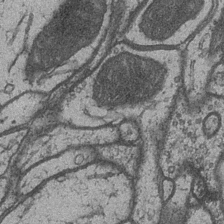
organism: Drosophila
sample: Optic medulla